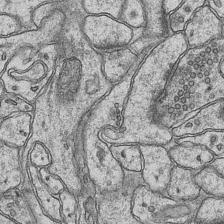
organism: Mouse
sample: CA1 Hippocampus